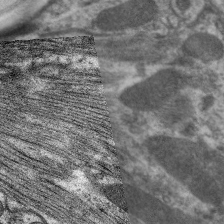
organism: C. elegans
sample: Pharynx